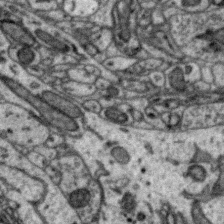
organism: Zebra finch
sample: Brain